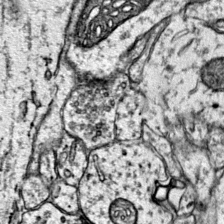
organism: Mouse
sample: Primary visual cortex